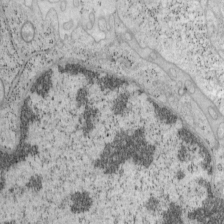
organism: Mouse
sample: OT-I killer T cells with ID8 ovarian cancer cells